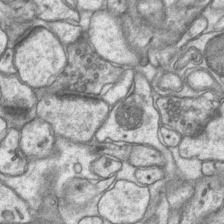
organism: Mouse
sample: CA1 Hippocampus